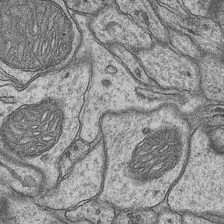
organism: Mouse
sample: CA1 Hippocampus